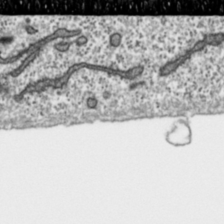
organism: Toxoplasma gondii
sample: Parasites in a vacuole inside a host cell